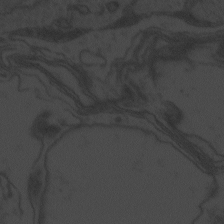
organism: Zebrafish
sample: Macrophage infected with Toxoplasma gondii